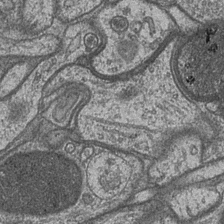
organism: Drosophila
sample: Optic medulla